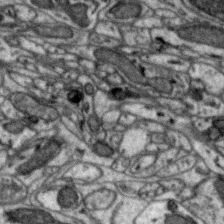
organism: Zebra finch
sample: Brain